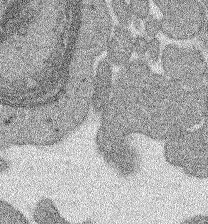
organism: Human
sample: HeLa cells